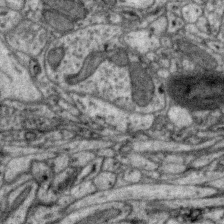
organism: Zebra finch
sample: Brain